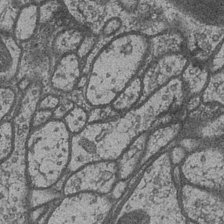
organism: Drosophila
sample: Optic medulla